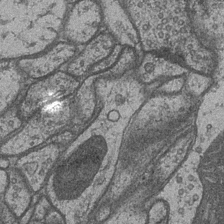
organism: Drosophila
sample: Optic medulla